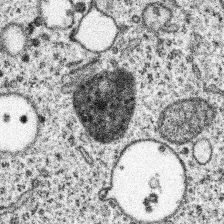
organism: Human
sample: HeLa cells